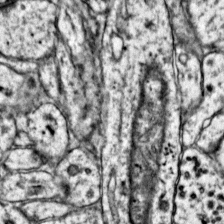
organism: Mouse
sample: Primary visual cortex